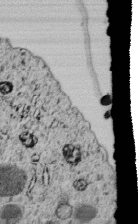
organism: C. elegans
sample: C. elegans embryo early stage